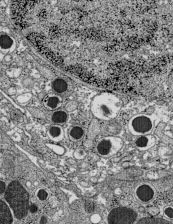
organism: C57BL Mouse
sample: Pancreatic islet